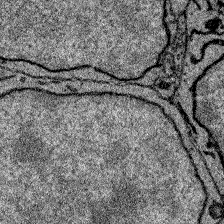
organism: Zebrafish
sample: Larval olfactory bulb